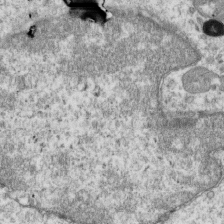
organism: Mouse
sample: Activated OT-1 CD8+ T cells